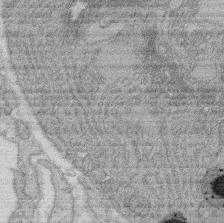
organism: Rat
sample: Salivary granule